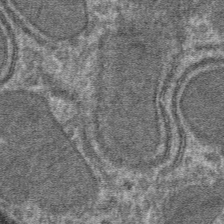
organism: Mouse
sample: Mouse hepatocytes